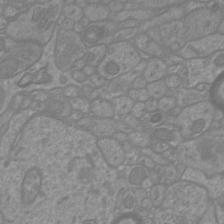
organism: Mouse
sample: Cortical neurons